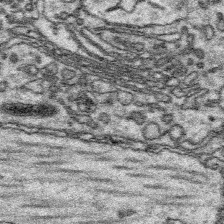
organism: Platynereis dumerilii